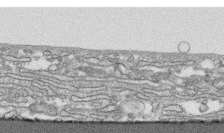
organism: Human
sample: CRL-1474